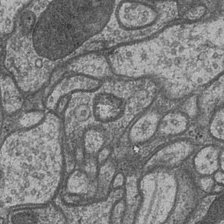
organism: Drosophila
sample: Optic medulla